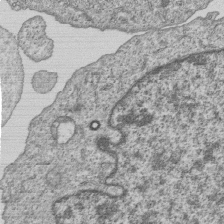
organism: Human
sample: MDA-MB-231 cells